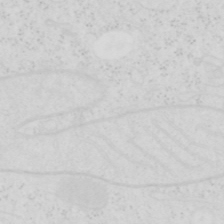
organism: Human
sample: SUM-159 cell